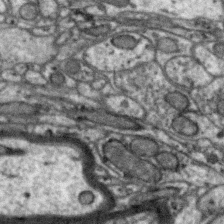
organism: Zebra finch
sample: Brain